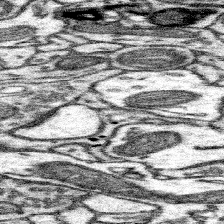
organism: Mouse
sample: Somatosensory cortex neuropil